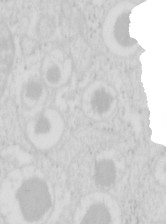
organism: Mouse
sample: Pancreas